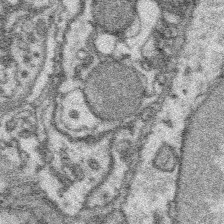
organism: Platynereis dumerilii